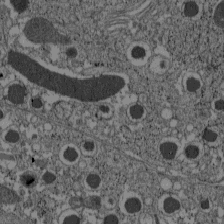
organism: C57BL Mouse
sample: Pancreatic islet